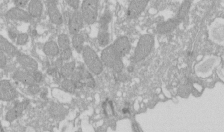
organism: Xenopus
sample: Cilia; centrioles in frog embryo cells